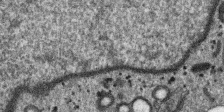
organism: Human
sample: Lung epithelial cells infected with SARS-CoV-2